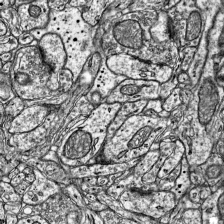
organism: Mouse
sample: Visual Cortex